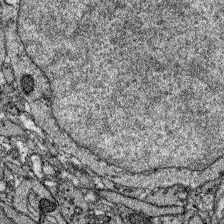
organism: Zebrafish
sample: Larval olfactory bulb